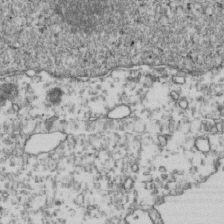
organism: Human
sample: Activated Jurkat CD4+ T cells